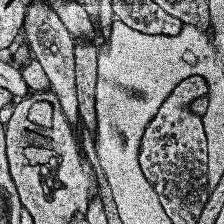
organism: Human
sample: Temporal Lobe